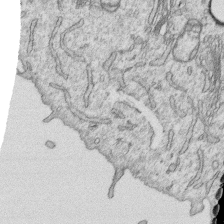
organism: Human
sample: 1205lu cells